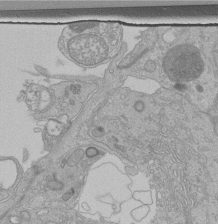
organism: Human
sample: Retinal organoid Rod and Cone cells